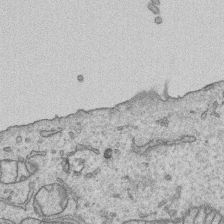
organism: Human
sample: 1205lu cells